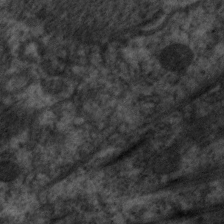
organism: C. elegans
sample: Pharynx